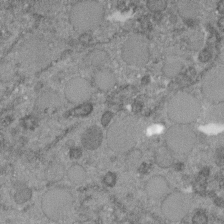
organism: C. elegans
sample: C. elegans embryo early stage